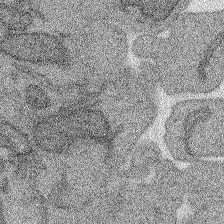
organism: Human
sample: HeLa cells